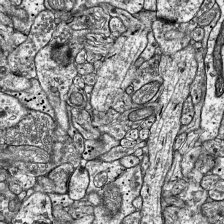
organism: Mouse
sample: Visual Cortex